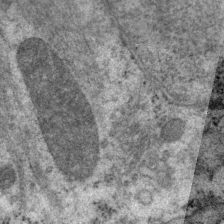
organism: P. pacificus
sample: Pharynx